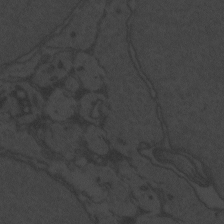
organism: Zebrafish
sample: Macrophage infected with Toxoplasma gondii